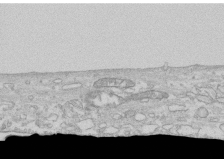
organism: Human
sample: CRL-1474